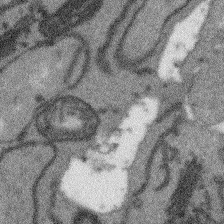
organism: Arabidopsis thaliana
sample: Root tip